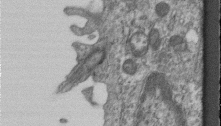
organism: Mouse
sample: Centriole in ependymal cells